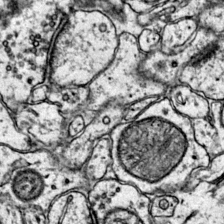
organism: Mouse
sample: Primary visual cortex